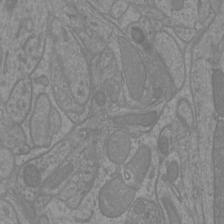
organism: Mouse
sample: Cortical neurons